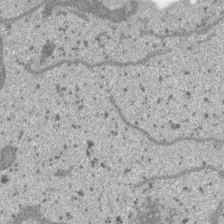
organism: Human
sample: Lung epithelial cells infected with SARS-CoV-2